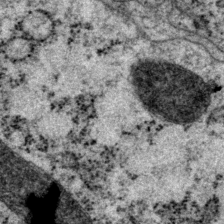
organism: P. pacificus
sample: Pharynx